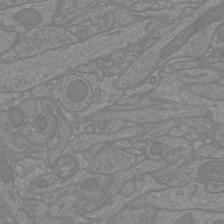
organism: Mouse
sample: Cortical neurons